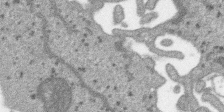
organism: Human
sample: Lung epithelial cells infected with SARS-CoV-2